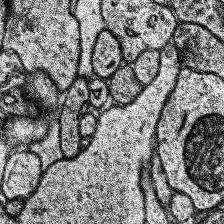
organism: Human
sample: Temporal Lobe